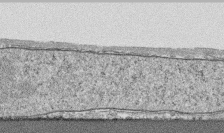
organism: Human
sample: CRL-1474